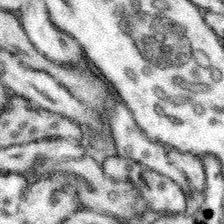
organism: Mouse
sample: Somatosensory cortex neuropil